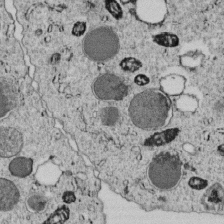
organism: C. elegans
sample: C. elegans embryo early stage